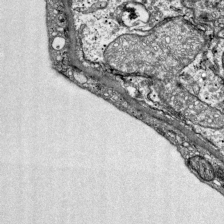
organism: Mouse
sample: Visual Cortex